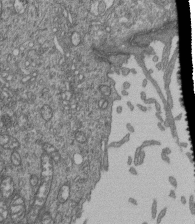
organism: Human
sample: Retinal organoid Rod and Cone cells